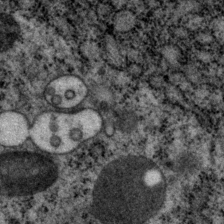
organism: P. pacificus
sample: Pharynx